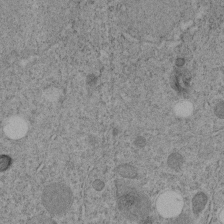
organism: C. elegans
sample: C. elegans embryo early stage